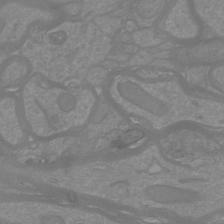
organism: Mouse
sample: Cortical neurons